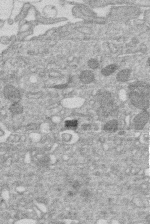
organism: Human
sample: Macrophage cells